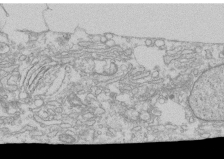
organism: Human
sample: CRL-1474